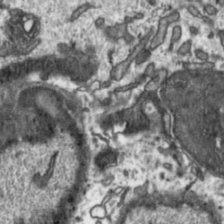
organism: Toxoplasma gondii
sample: Parasites in a vacuole inside a host cell